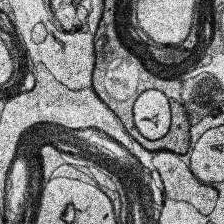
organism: Human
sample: Temporal Lobe